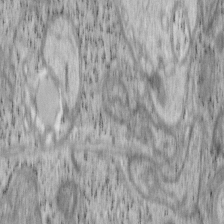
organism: Human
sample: HeLa cells